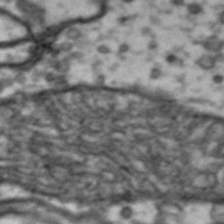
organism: Drosophila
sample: Brain